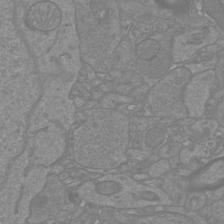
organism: Mouse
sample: Cortical neurons